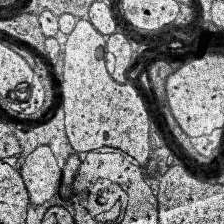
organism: Human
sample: Temporal Lobe